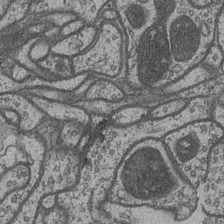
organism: Drosophila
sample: Optic medulla